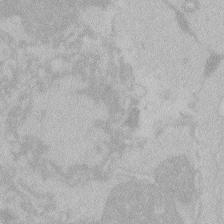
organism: Zebrafish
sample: Macrophage infected with Toxoplasma gondii